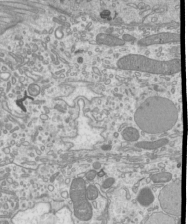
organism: Mouse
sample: Cilia; mouse epididymis